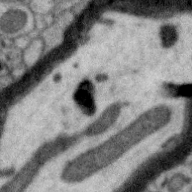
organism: Zebra finch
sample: Brain